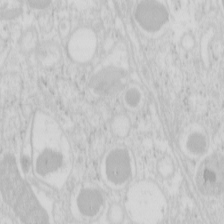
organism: Mouse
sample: Pancreas